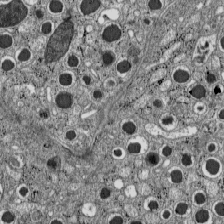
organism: C57BL Mouse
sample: Pancreatic islet